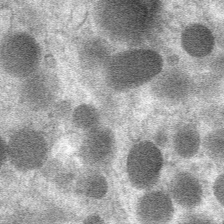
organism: Mouse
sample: Mouse Salivary gland